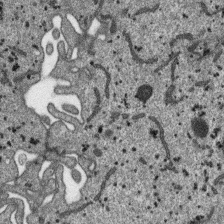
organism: Human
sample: Lung epithelial cells infected with SARS-CoV-2